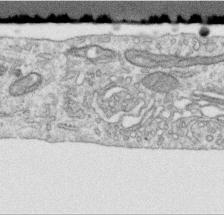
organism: Human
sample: Centriole in RPE cells